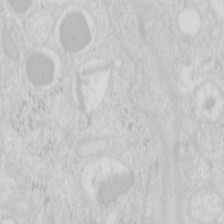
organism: Mouse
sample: Pancreas